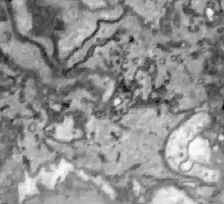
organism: Zebrafish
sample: Actinotrichia fibers